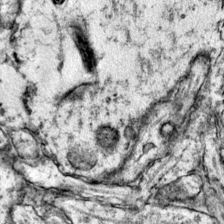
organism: Mouse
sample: Primary visual cortex